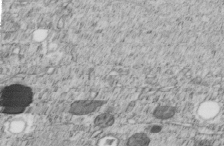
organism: C. elegans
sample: C. elegans embryo early stage